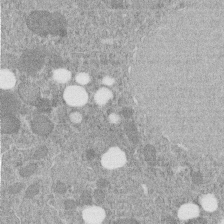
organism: C. elegans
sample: C. elegans embryo early stage